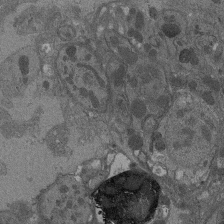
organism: Drosophila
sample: Antenna